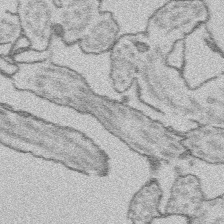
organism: Platynereis dumerilii